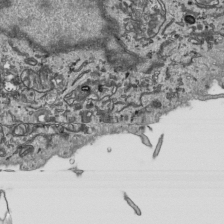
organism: Human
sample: Mitochondria in HCT116 cells